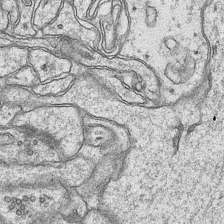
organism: Mouse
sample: CA1 Hippocampus